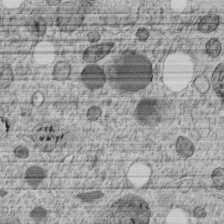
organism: C. elegans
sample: C. elegans embryo early stage